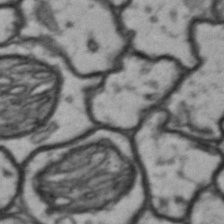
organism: Drosophila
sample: Brain